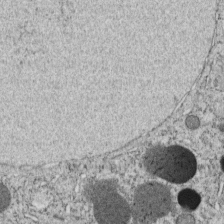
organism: C. elegans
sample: C. elegans embryo early stage